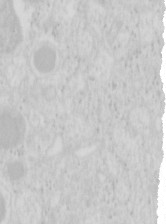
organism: Mouse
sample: Pancreas